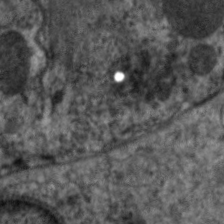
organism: C. elegans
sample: Pharynx